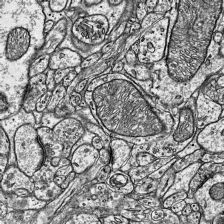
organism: Mouse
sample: Visual Cortex